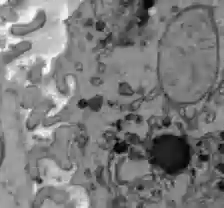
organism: C57BL Mouse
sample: Liver